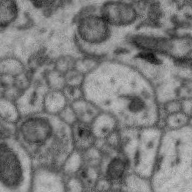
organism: Zebra finch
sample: Brain